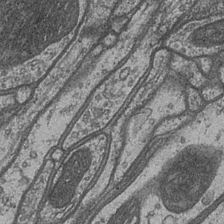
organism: Drosophila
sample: Optic medulla